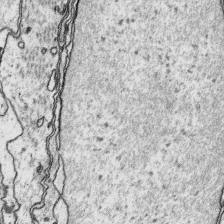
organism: Platynereis dumerilii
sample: Parapodia